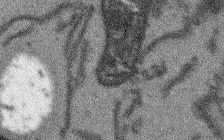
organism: Arabidopsis thaliana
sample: Root tip